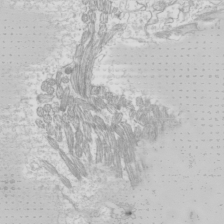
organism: Mouse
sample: Cilia; mouse epididymis